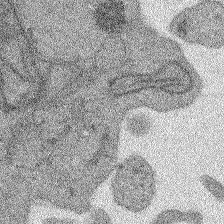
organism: Human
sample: HeLa cells